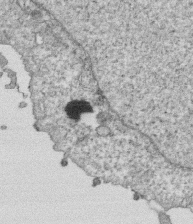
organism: Human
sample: HeLa cell HIV synapse